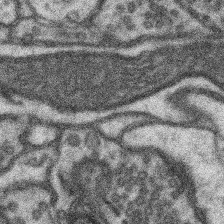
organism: Mouse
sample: Somatosensory cortex neuropil